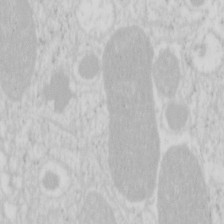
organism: Mouse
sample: Pancreas